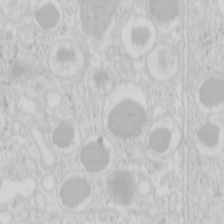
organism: Mouse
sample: Pancreas